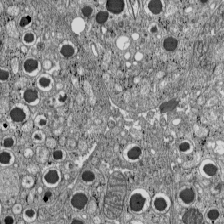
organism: C57BL Mouse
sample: Pancreatic islet